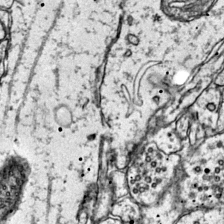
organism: Mouse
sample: Primary visual cortex